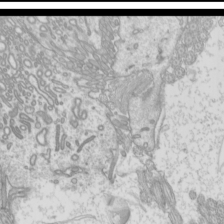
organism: Mouse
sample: Cilia; mouse epididymis